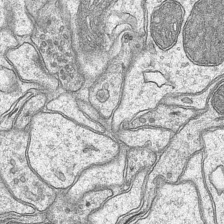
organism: Mouse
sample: CA1 Hippocampus